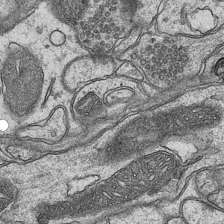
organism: Mouse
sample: CA1 Hippocampus